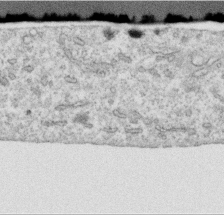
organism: Human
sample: Centriole in RPE cells